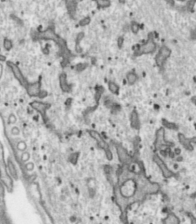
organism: Toxoplasma gondii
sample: Parasites in a vacuole inside a host cell